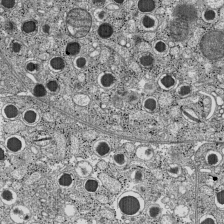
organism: C57BL Mouse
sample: Pancreatic islet